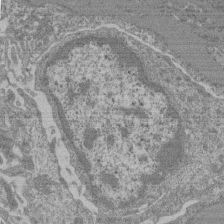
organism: Mouse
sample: Glomerulus